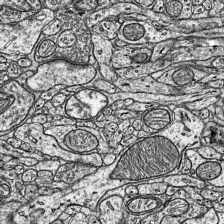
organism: Mouse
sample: Visual Cortex